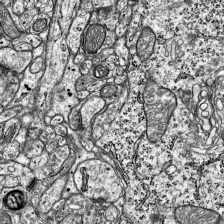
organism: Mouse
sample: Visual Cortex